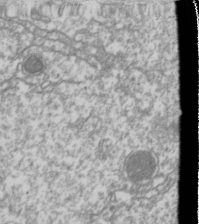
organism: Drosophila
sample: Cell division; meiosis; drosophila spermatocytes